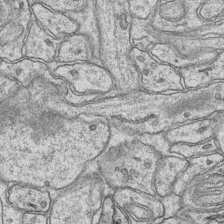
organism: Mouse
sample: CA1 Hippocampus